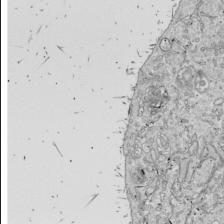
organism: Drosophila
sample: Cell division; meiosis; drosophila spermatocytes